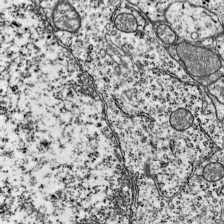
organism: Mouse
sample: Visual Cortex